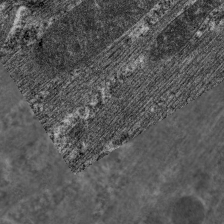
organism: C. elegans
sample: Pharynx